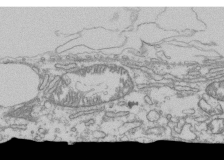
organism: Human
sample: Fibroblast cells